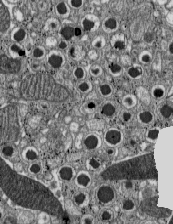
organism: C57BL Mouse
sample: Pancreatic islet